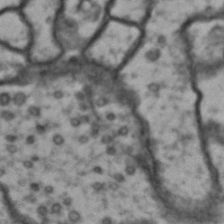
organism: Drosophila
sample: Brain